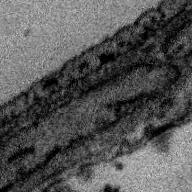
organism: Zebra finch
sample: Brain